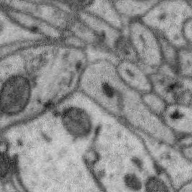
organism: Zebra finch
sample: Brain